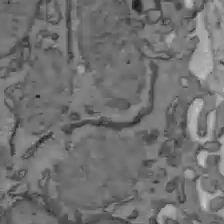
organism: C57BL Mouse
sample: Liver